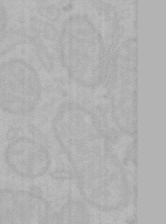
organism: Mouse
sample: Choroid plexus